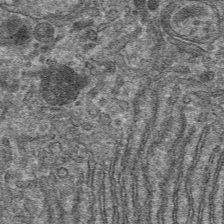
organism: Mouse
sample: Mouse hepatocytes